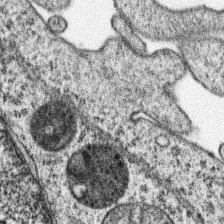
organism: Human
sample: HeLa cells